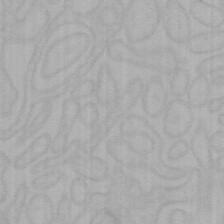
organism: Mouse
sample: Choroid plexus